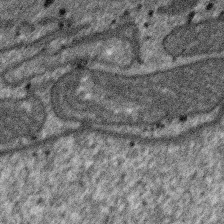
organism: Human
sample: Lung epithelial cells infected with SARS-CoV-2